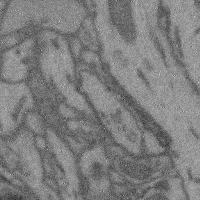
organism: Mouse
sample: Cerebral cortex